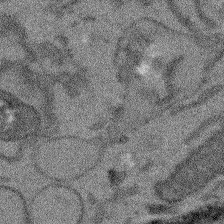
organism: Arabidopsis thaliana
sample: Root tip